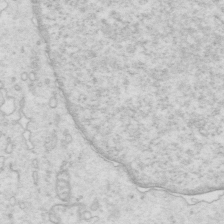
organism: Mouse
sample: Multiciliated cells